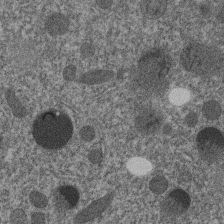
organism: C. elegans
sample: C. elegans embryo early stage